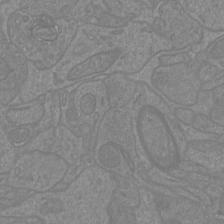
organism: Mouse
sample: Cortical neurons